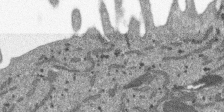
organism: Human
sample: Lung epithelial cells infected with SARS-CoV-2